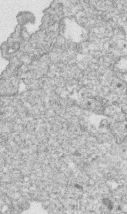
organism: Human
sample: HeLa cell HIV synapse